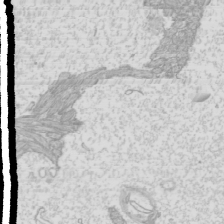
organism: Mouse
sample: Cilia; mouse epididymis